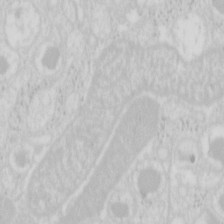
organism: Mouse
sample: Pancreas